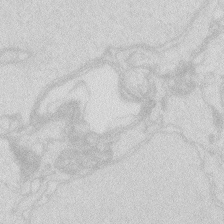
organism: Zebrafish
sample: Macrophage